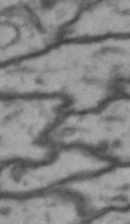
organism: Drosophila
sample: Brain